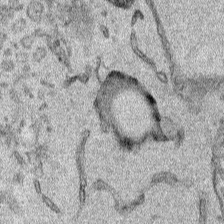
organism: Human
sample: Mitochondria in HCT116 cells